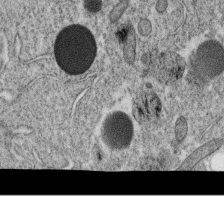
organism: C. elegans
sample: C. elegans oocyte; sperm cells